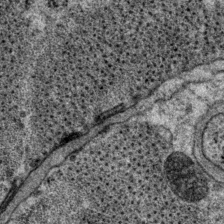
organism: P. pacificus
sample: Pharynx